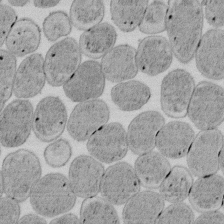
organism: E. coli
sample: Bacterial nucleoid